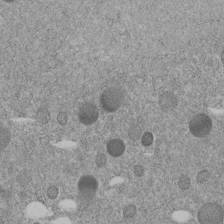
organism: C. elegans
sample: C. elegans embryo early stage